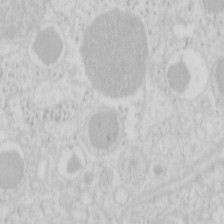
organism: Mouse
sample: Pancreas